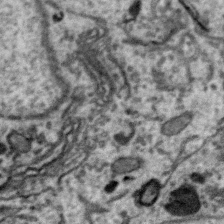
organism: Zebra finch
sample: Brain